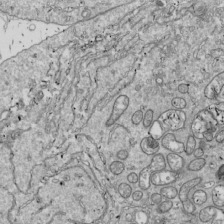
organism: Drosophila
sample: Cell division; meiosis; drosophila spermatocytes